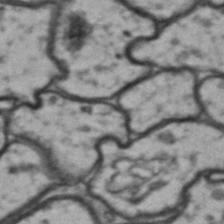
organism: Drosophila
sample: Brain